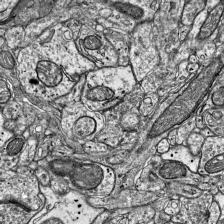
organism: Mouse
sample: Visual Cortex